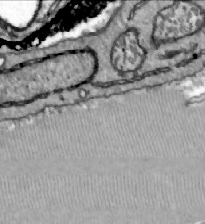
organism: Zebrafish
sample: Actinotrichia fibers